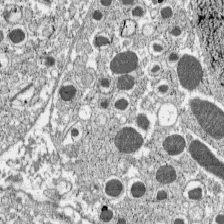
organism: C57BL Mouse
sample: Pancreatic islet